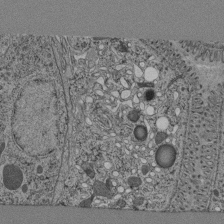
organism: C. elegans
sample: C. elegans pharynx